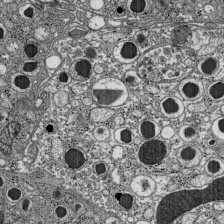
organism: C57BL Mouse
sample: Pancreatic islet